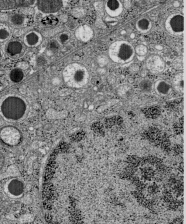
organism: C57BL Mouse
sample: Pancreatic islet